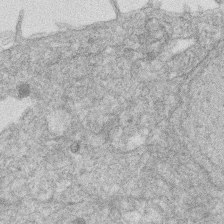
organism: Human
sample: HeLa cell HIV synapse